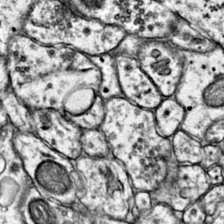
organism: Mouse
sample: Primary visual cortex